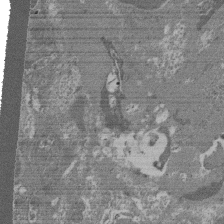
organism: Mouse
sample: Glomerulus